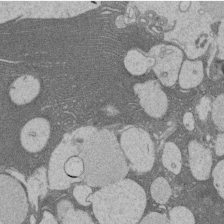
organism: Rat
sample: Salivary granule